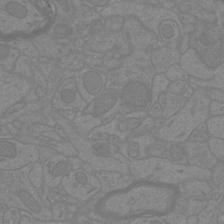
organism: Mouse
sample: Cortical neurons